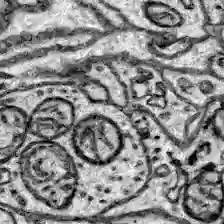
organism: Zebrafish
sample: Brain